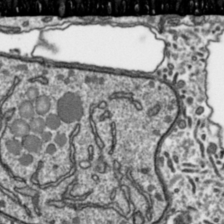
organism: Toxoplasma gondii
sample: Parasites in a vacuole inside a host cell